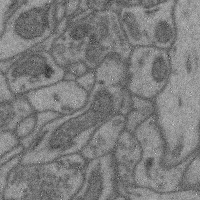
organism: Mouse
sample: Cerebral cortex